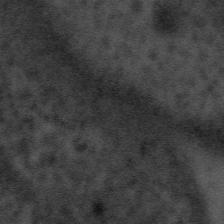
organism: Tuwongella immobilis